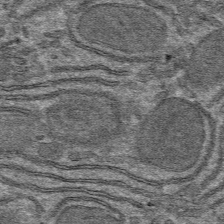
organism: Mouse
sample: Mouse hepatocytes